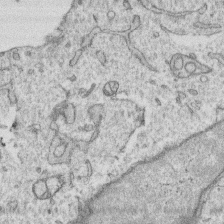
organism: Human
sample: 1205lu cells